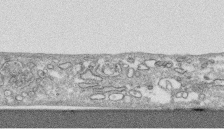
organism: Human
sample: CRL-1474